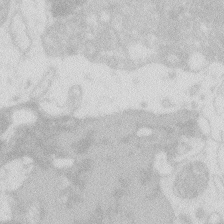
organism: Zebrafish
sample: Macrophage